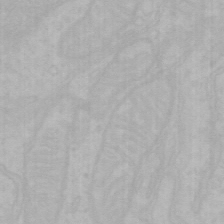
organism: Mouse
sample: Choroid plexus